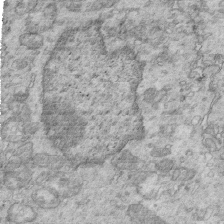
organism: Mouse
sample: Multiciliated cells